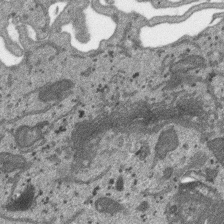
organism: Human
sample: Lung epithelial cells infected with SARS-CoV-2